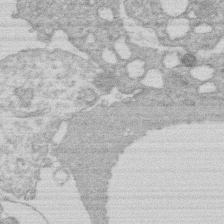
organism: Human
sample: Macrophage cells